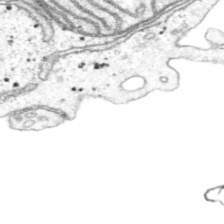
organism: Human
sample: HeLa cells